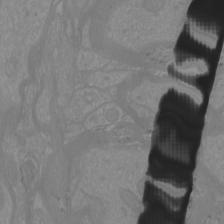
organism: Mouse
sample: Cortical neurons